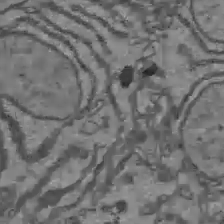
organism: C57BL Mouse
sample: Liver